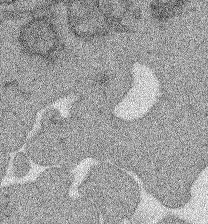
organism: Human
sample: HeLa cells